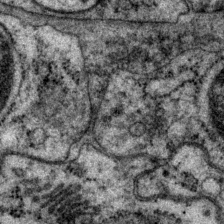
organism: P. pacificus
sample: Pharynx